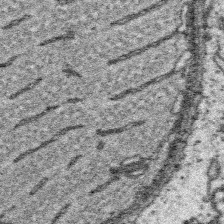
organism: Platynereis dumerilii